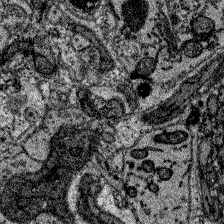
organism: Zebrafish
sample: Larval olfactory bulb